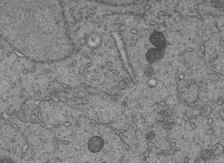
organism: C. elegans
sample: C. elegans embryo early stage